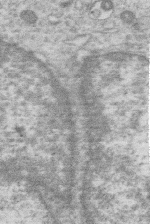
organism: Human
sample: Macrophage cells